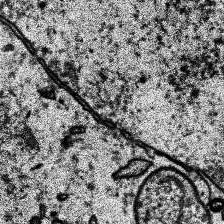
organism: Human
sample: Temporal Lobe